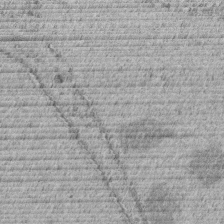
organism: C. elegans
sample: C. elegans embryo early stage